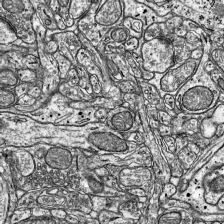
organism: Mouse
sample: Visual Cortex